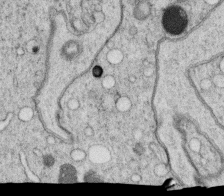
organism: C. elegans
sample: C. elegans oocyte; sperm cells